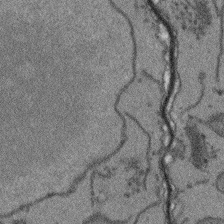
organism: Arabidopsis thaliana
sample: Root tip